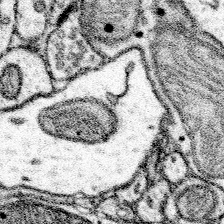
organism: Mouse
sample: Somatosensory cortex neuropil